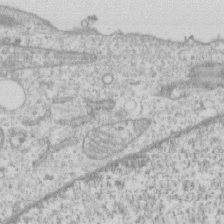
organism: Human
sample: CRL-1474